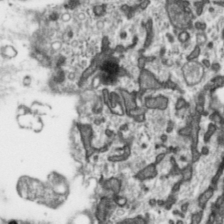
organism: Toxoplasma gondii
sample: Parasites in a vacuole inside a host cell